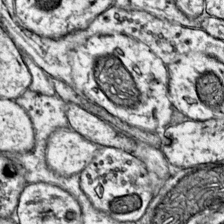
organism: Mouse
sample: Primary visual cortex